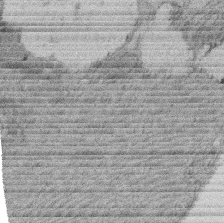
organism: Rat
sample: Salivary granule